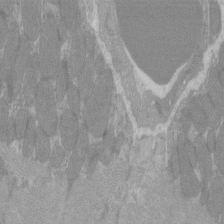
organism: C57BL Mouse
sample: Tibialis anterior muscle cell